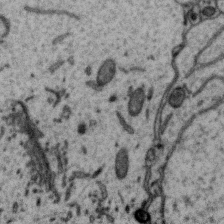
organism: Zebra finch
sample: Brain